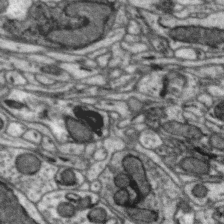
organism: Zebra finch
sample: Brain